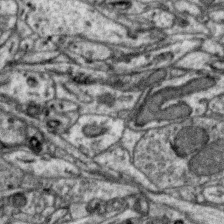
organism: Zebra finch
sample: Brain